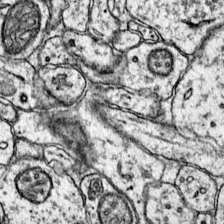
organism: Mouse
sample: Primary visual cortex